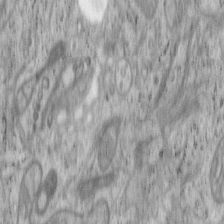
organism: Human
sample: HeLa cells